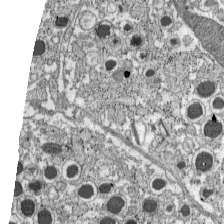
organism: C57BL Mouse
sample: Pancreatic islet